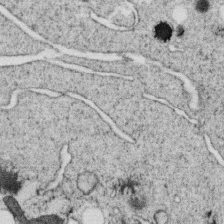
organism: C. elegans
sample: C. elegans oocyte; sperm cells